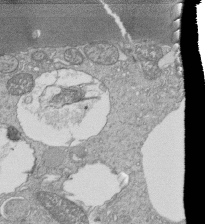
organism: Tetrahymena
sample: Cilia in tetrahymena